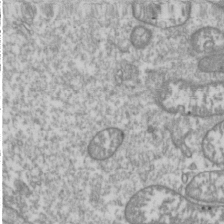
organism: Drosophila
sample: Cell division; meiosis; drosophila spermatocytes